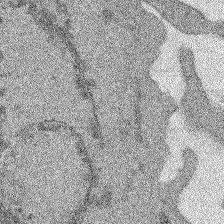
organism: Human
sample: HeLa cells